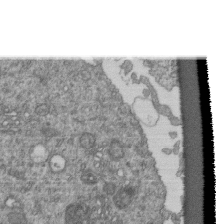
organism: Human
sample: Retinal organoid Rod and Cone cells